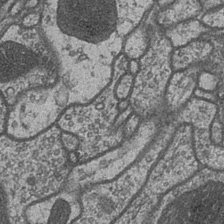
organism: Drosophila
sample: Optic medulla